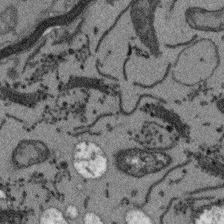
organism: Arabidopsis thaliana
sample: Root tip